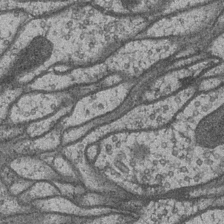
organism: Drosophila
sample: Optic medulla